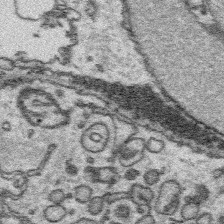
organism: Platynereis dumerilii